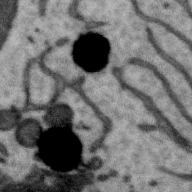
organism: Zebra finch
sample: Brain